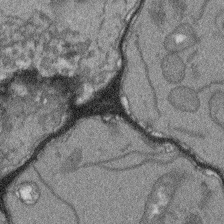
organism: Arabidopsis thaliana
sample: Root tip